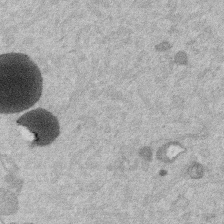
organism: Mouse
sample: Dividing mouse embryo 1 cell stage